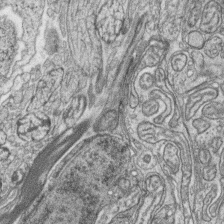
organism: Zebrafish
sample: synaptic ribbons in rod cells and cone cells